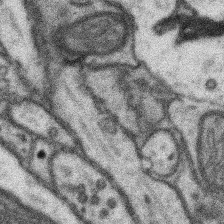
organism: Mouse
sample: Somatosensory cortex neuropil